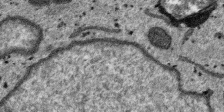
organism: Human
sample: Lung epithelial cells, uninfected (mock) control